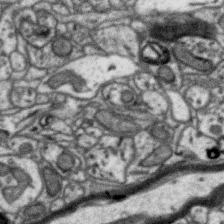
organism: Zebra finch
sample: Brain